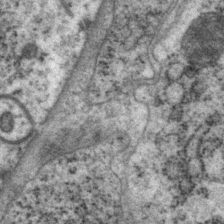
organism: P. pacificus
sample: Pharynx